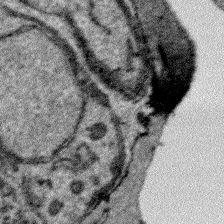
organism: Plasmodium falciparum